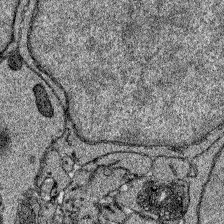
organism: Zebrafish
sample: Larval olfactory bulb